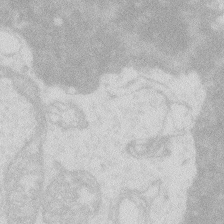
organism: Zebrafish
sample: Macrophage